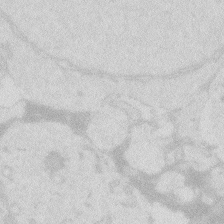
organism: Zebrafish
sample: Macrophage